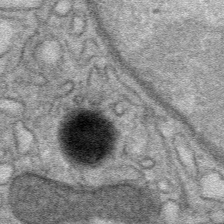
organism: Mouse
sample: Mouse Salivary gland